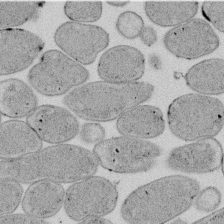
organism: E. coli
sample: Bacterial nucleoid